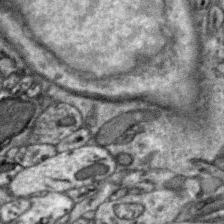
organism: Zebra finch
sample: Brain